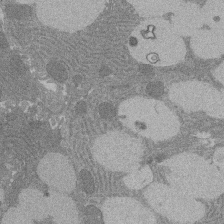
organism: Rat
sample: Salivary granule